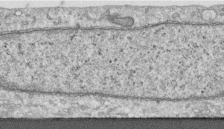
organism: Human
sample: Centriole in RPE cells